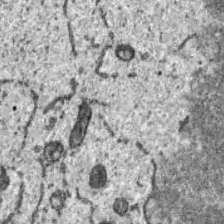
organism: Human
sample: HeLa cells